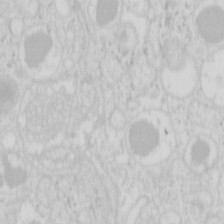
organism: Mouse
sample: Pancreas